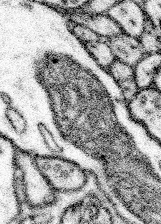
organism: Mouse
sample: Somatosensory cortex neuropil